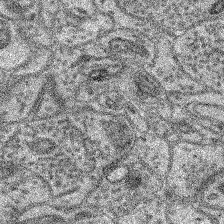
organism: Mouse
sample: Retina